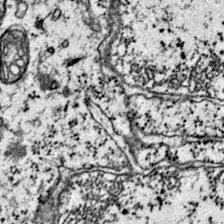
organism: Mouse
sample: Primary visual cortex